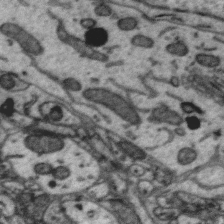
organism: Zebra finch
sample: Brain